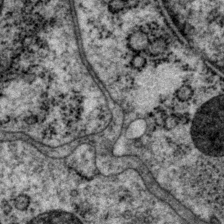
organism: P. pacificus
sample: Pharynx